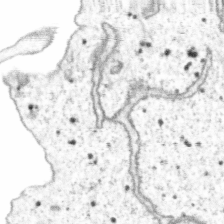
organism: Human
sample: HeLa cells